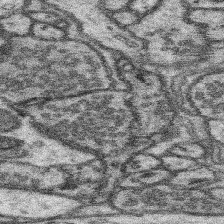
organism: Mouse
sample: Somatosensory cortex neuropil